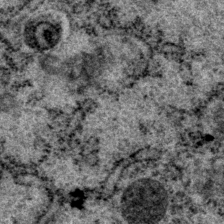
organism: P. pacificus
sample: Pharynx